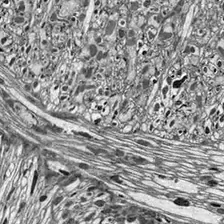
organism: Drosophila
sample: Optic lobe